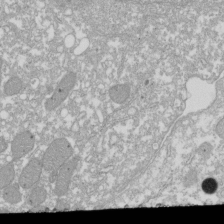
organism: Xenopus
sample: Cilia; centrioles in frog embryo cells